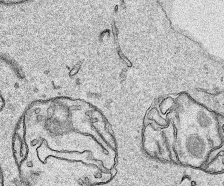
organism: Human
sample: Mitochondria in HCT116 cells